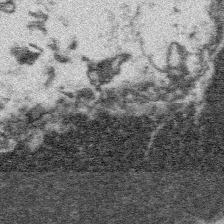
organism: Platynereis dumerilii